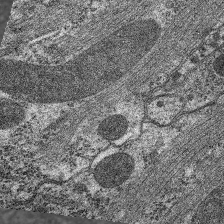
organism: C. elegans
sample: Pharynx